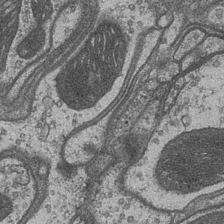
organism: Drosophila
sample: Optic medulla